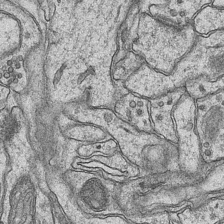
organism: Mouse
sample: CA1 Hippocampus